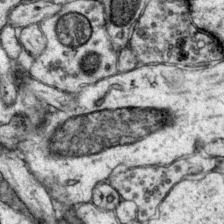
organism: Mouse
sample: Primary visual cortex